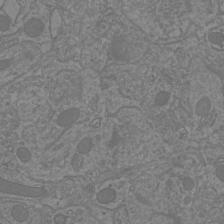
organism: Mouse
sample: Cortical neurons